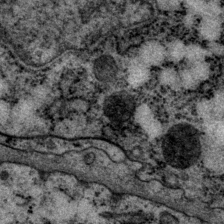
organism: P. pacificus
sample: Pharynx